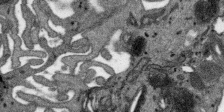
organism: Human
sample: Lung epithelial cells, uninfected (mock) control